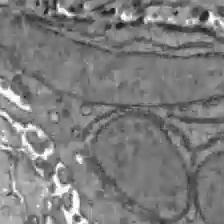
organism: C57BL Mouse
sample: Liver